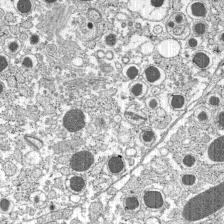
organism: C57BL Mouse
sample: Pancreatic islet